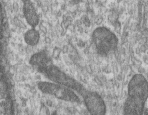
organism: Human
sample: Centriole in RPE cells